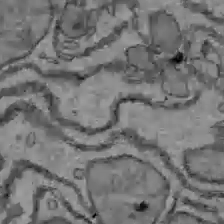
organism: C57BL Mouse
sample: Liver